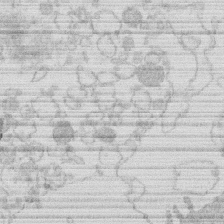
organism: Human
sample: Macrophage cells